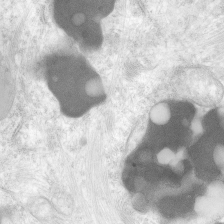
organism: Human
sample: Neocortex